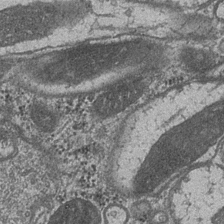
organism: Drosophila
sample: Optic medulla